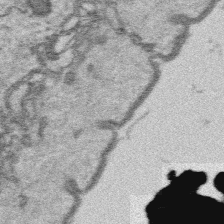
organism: Platynereis dumerilii